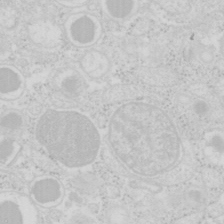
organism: Mouse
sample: Pancreas